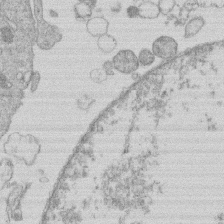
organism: Human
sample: Macrophage cells